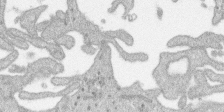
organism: Human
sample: Lung epithelial cells infected with SARS-CoV-2